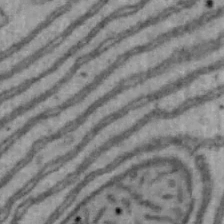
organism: Mouse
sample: Liver